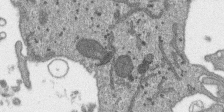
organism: Human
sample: Lung epithelial cells infected with SARS-CoV-2